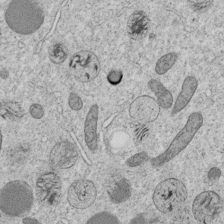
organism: C. elegans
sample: C. elegans embryo early stage